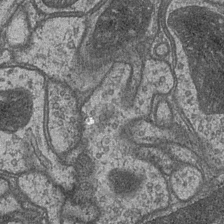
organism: Drosophila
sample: Optic medulla